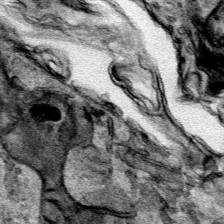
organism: Human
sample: Mitochondria in HCT116 cells